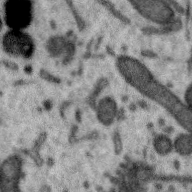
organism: Zebra finch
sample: Brain